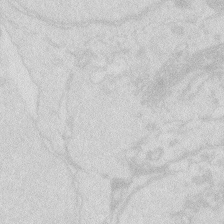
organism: Zebrafish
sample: Macrophage